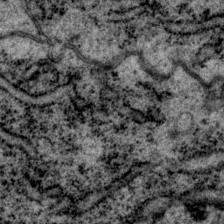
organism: P. pacificus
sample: Pharynx